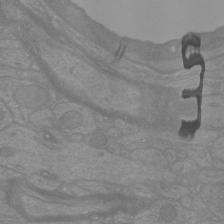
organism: Mouse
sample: Cortical neurons